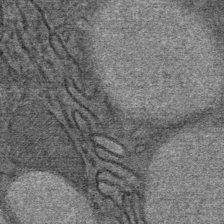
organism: Mouse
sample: Mouse Salivary gland